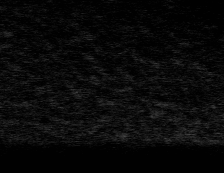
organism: Human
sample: HeLa cells